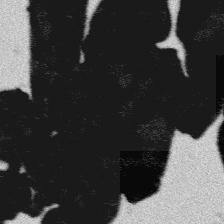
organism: Platynereis dumerilii